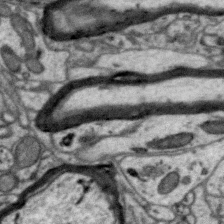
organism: Zebra finch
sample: Brain